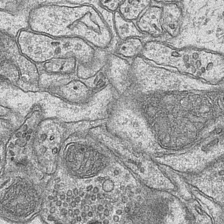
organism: Mouse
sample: CA1 Hippocampus